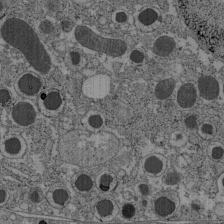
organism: C57BL Mouse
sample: Pancreatic islet